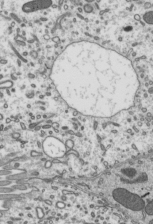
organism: Mouse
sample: Mouse epididymis efferent ductule cilia